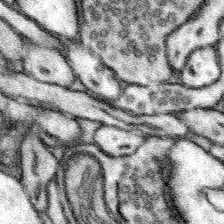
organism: Mouse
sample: Somatosensory cortex neuropil